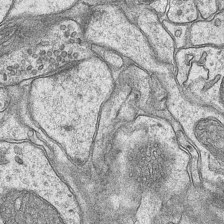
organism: Mouse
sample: CA1 Hippocampus